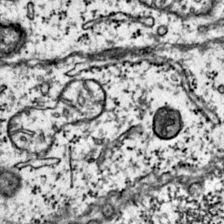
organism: Mouse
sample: Primary visual cortex